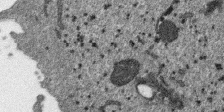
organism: Human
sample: Lung epithelial cells infected with SARS-CoV-2